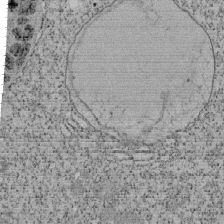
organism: Tetrahymena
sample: Cilia in tetrahymena